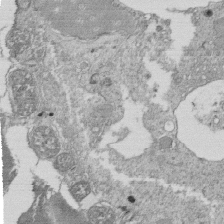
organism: Tetrahymena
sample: Cilia in tetrahymena